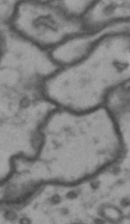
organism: Drosophila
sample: Brain